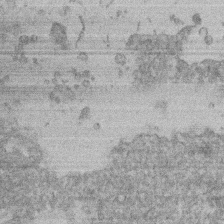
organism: Mouse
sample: T cell stromal cell synapse